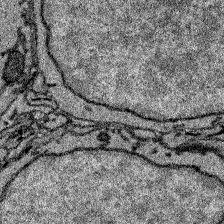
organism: Zebrafish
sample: Larval olfactory bulb